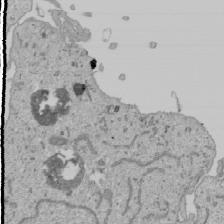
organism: Human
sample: Mitochondria in U2OS cells